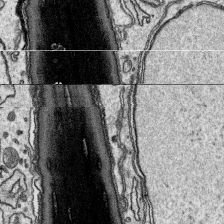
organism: Platynereis dumerilii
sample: Parapodia